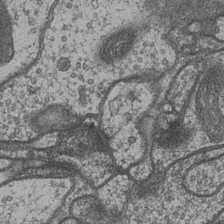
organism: Drosophila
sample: Optic medulla